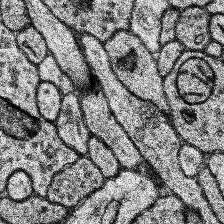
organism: Human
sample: Temporal Lobe